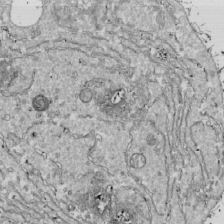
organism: Drosophila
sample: Cell division; meiosis; drosophila spermatocytes